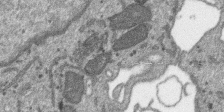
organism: Human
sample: Lung epithelial cells infected with SARS-CoV-2